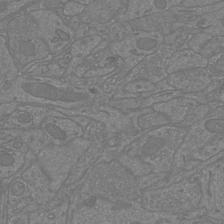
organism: Mouse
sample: Cortical neurons